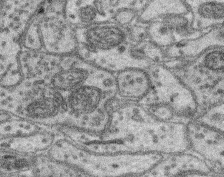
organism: Mouse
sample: Retina